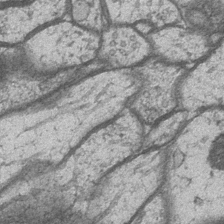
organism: Drosophila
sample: Optic medulla